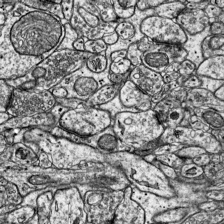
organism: Mouse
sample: Visual Cortex